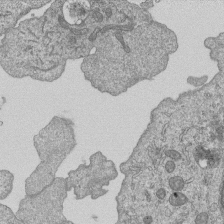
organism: Human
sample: MDA-MB-231 cells